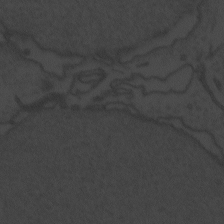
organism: Zebrafish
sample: Macrophage infected with Toxoplasma gondii